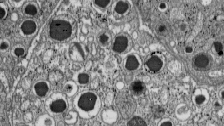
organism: C57BL Mouse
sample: Pancreatic islet